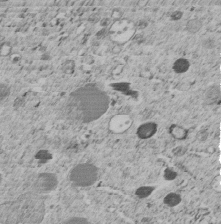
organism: C. elegans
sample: C. elegans embryo early stage